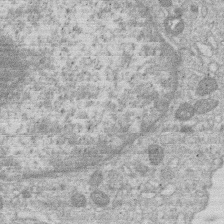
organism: Human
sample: Macrophage cells